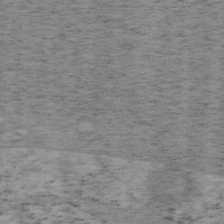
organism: Mouse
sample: OT-I killer T cells with ID8 ovarian cancer cells